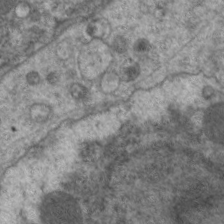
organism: C. elegans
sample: Pharynx